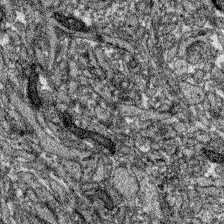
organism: Zebrafish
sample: Larval olfactory bulb